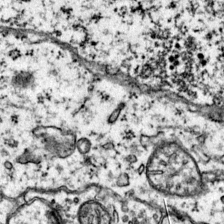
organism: Mouse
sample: Primary visual cortex